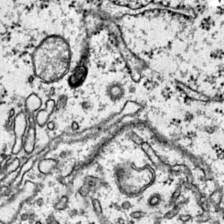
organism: Mouse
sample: Primary visual cortex